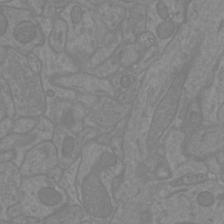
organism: Mouse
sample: Cortical neurons